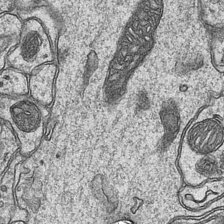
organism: Mouse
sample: CA1 Hippocampus